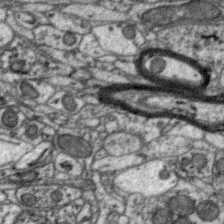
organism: Zebra finch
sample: Brain